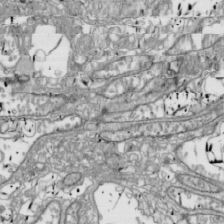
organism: Drosophila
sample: Cell division; meiosis; drosophila spermatocytes